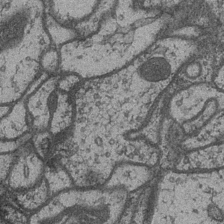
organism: Drosophila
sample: Optic medulla